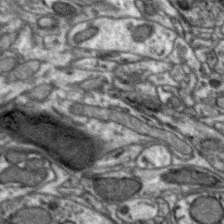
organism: Zebra finch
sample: Brain